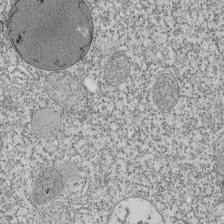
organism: Tetrahymena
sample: Cilia in tetrahymena